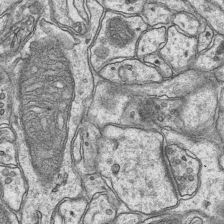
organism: Mouse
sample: CA1 Hippocampus